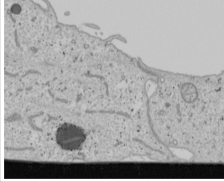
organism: Human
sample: Mitochondria in U2OS cells